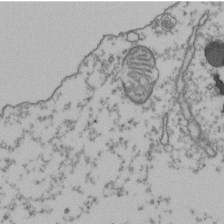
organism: Human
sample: Activated Jurkat CD4+ T cells